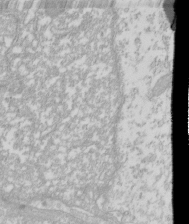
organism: Xenopus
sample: Cilia; centrioles in frog embryo cells